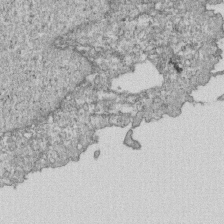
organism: Human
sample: HeLa cell HIV synapse